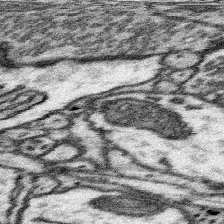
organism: Mouse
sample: Somatosensory cortex neuropil